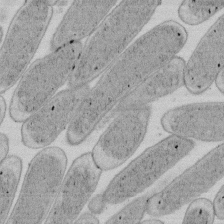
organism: E. coli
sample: Bacterial nucleoid